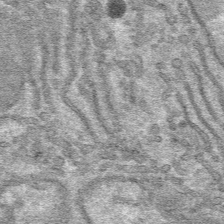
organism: Mouse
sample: Mouse hepatocytes